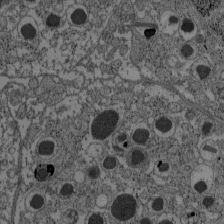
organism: C57BL Mouse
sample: Pancreatic islet